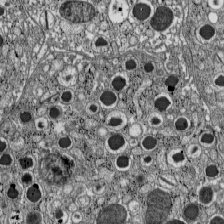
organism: C57BL Mouse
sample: Pancreatic islet